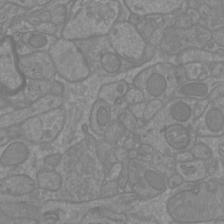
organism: Mouse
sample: Cortical neurons